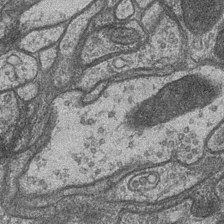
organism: Drosophila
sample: Optic medulla